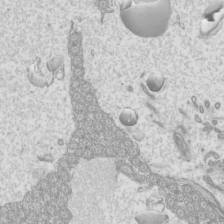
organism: Mouse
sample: Cilia; mouse epididymis